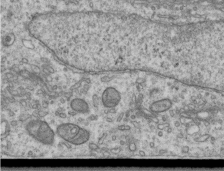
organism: Human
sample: Centriole in RPE cells